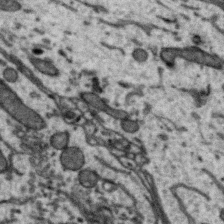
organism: Zebra finch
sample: Brain